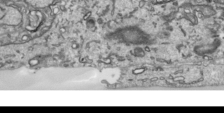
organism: Human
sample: Mitochondria in HCT116 cells